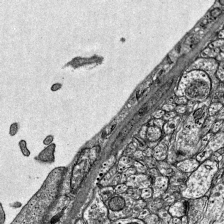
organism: Mouse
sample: Visual Cortex